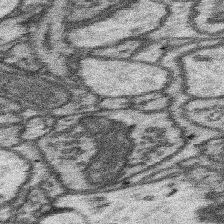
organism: Mouse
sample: Somatosensory cortex neuropil